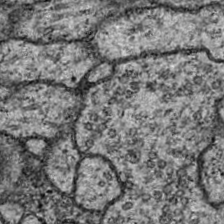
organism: Drosophila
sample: Ventral Nerve Cord